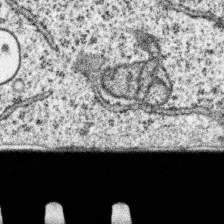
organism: Human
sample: HeLa cells